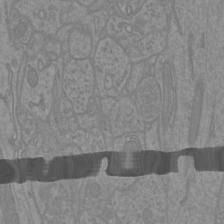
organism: Mouse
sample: Cortical neurons